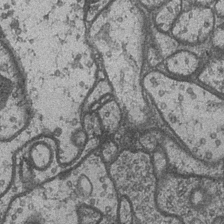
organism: Drosophila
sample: Optic medulla